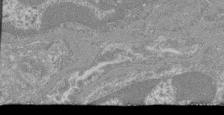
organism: Mouse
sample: Glomerulus